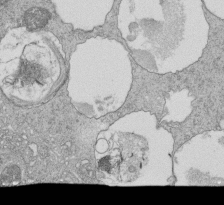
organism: Tetrahymena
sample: Cilia in tetrahymena